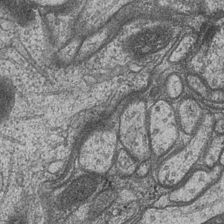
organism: Drosophila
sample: Optic medulla